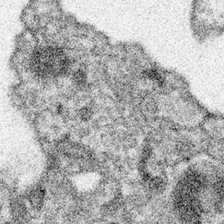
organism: Spongilla lacustris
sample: Neuroid cell